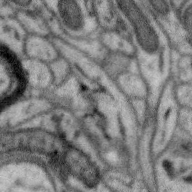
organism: Zebra finch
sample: Brain